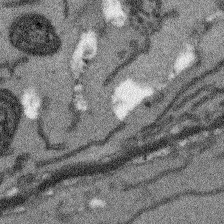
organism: Arabidopsis thaliana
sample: Root tip